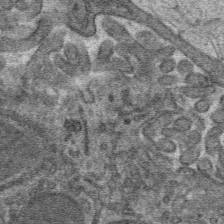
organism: Mouse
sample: Mouse hepatocytes